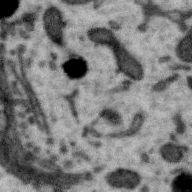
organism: Zebra finch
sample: Brain